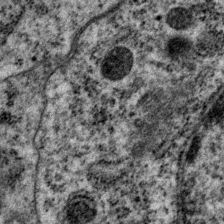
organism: P. pacificus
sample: Pharynx